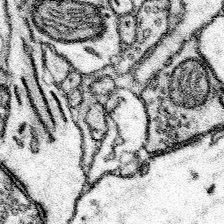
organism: Mouse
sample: Somatosensory cortex neuropil